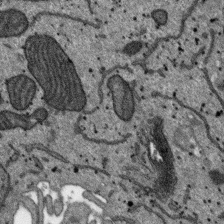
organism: Human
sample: Lung epithelial cells, uninfected (mock) control